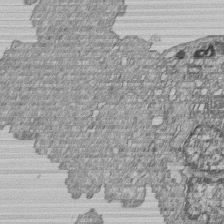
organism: Human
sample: MDA-MB-231 cells